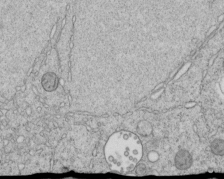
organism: C. elegans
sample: C. elegans embryo early stage